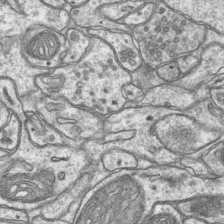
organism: Mouse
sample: CA1 Hippocampus